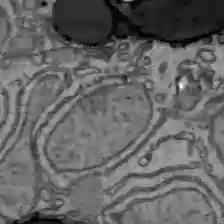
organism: C57BL Mouse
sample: Liver